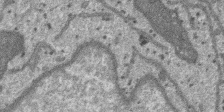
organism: Human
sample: Lung epithelial cells infected with SARS-CoV-2